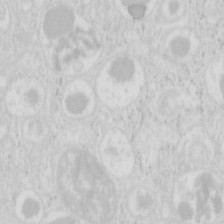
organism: Mouse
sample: Pancreas